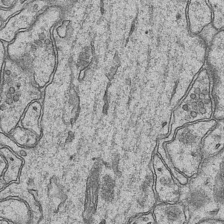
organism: Mouse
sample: CA1 Hippocampus